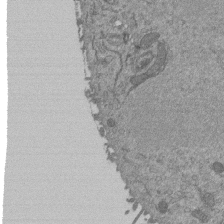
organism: Mouse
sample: ED-1 cell nuclei; centrioles